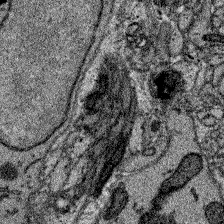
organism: Zebrafish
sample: Larval olfactory bulb